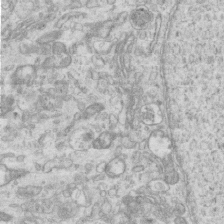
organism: Mouse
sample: Centriole in ependymal cells